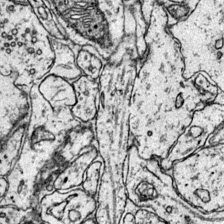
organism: Mouse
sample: Primary visual cortex